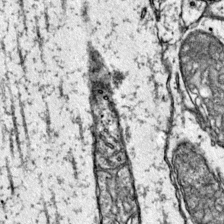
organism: Mouse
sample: Primary visual cortex